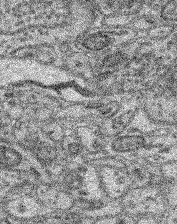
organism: Mouse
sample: Retina